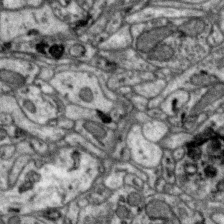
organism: Zebra finch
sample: Brain